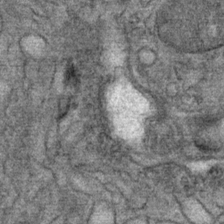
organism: Mouse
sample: Mouse Salivary gland